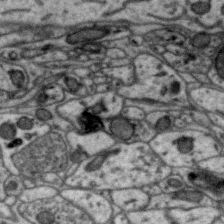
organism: Zebra finch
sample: Brain